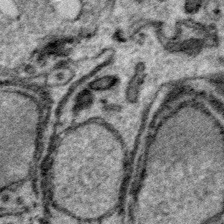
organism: Plasmodium falciparum